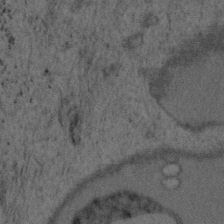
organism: Human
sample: HeLa cells